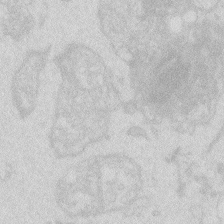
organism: Zebrafish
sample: Macrophage